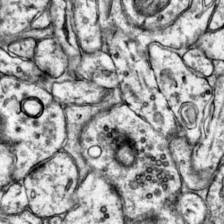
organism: Mouse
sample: Primary visual cortex